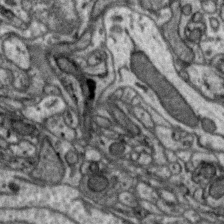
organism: Zebra finch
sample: Brain